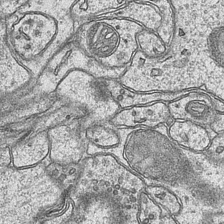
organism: Mouse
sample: CA1 Hippocampus